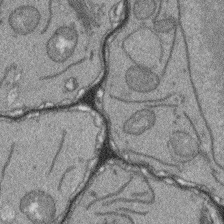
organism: Arabidopsis thaliana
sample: Root tip